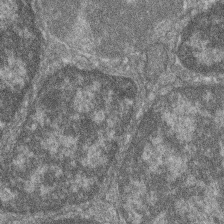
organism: Zebrafish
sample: Cilia; retinal pigment epithelium